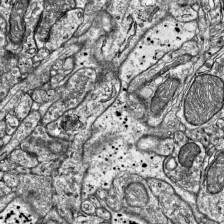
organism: Mouse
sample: Visual Cortex